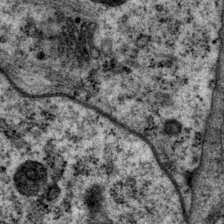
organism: P. pacificus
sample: Pharynx